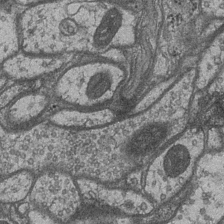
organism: Drosophila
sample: Optic medulla